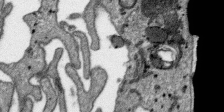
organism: Human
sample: Lung epithelial cells, uninfected (mock) control